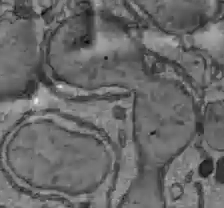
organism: C57BL Mouse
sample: Liver